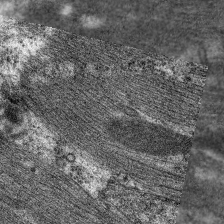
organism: C. elegans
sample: Pharynx